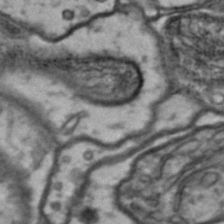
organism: Drosophila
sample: Brain